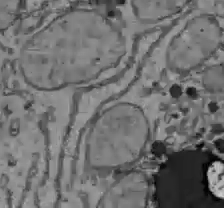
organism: C57BL Mouse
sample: Liver